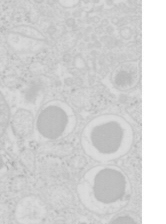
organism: Mouse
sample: Pancreas